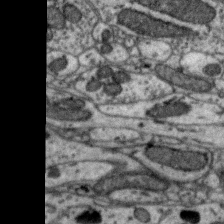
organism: Zebra finch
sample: Brain